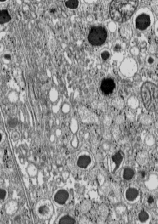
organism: C57BL Mouse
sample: Pancreatic islet